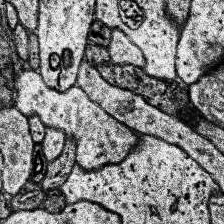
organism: Human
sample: Temporal Lobe